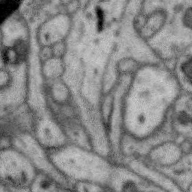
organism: Zebra finch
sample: Brain